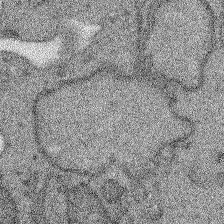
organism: Human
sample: HeLa cells